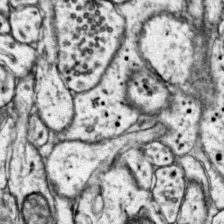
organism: Mouse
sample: Primary visual cortex